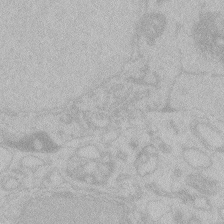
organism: Zebrafish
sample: Macrophage infected with Toxoplasma gondii